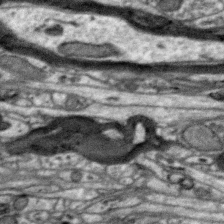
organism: Zebra finch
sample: Brain